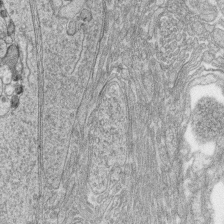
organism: Zebrafish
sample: synaptic ribbons in rod cells and cone cells